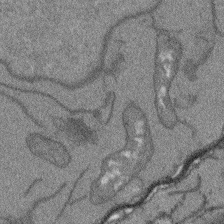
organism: Arabidopsis thaliana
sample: Root tip